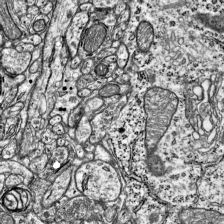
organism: Mouse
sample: Visual Cortex